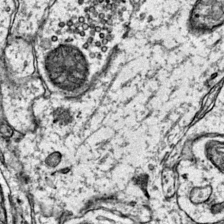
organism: Mouse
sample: Primary visual cortex